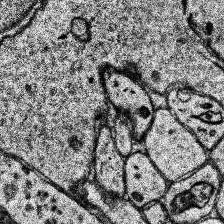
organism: Human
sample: Temporal Lobe